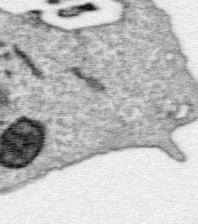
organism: Human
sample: HeLa cells